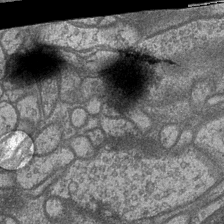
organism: Drosophila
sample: Optic medulla